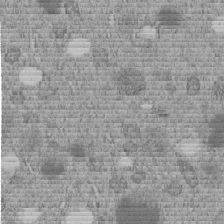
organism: C. elegans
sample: C. elegans embryo early stage